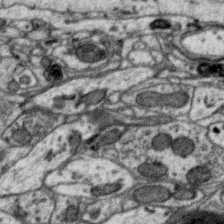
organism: Zebra finch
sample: Brain